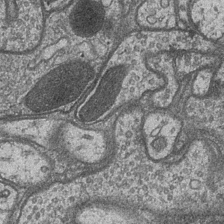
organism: Drosophila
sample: Optic medulla